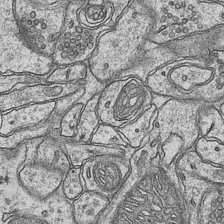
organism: Mouse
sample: CA1 Hippocampus